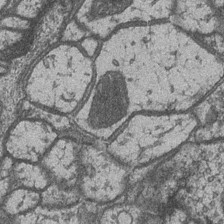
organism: Drosophila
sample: Optic medulla